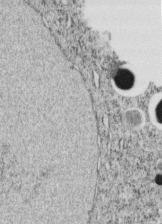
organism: C. elegans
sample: C. elegans embryo early stage